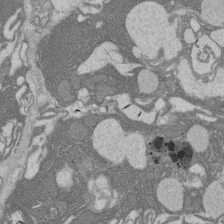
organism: Rat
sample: Salivary granule